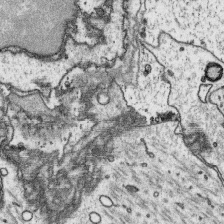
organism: Platynereis dumerilii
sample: Parapodia